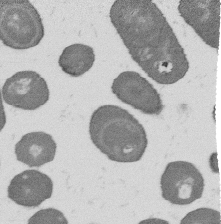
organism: B. subtilis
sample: Bacterial spore